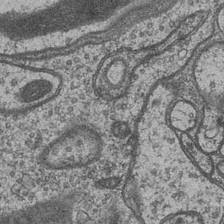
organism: Drosophila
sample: Optic medulla